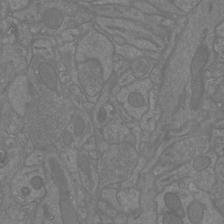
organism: Mouse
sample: Cortical neurons